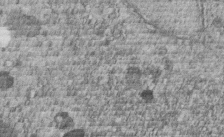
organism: C. elegans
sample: C. elegans embryo early stage